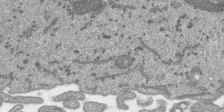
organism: Human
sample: Lung epithelial cells infected with SARS-CoV-2